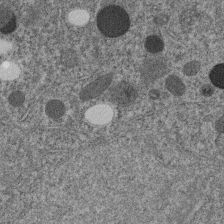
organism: C. elegans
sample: C. elegans embryo early stage